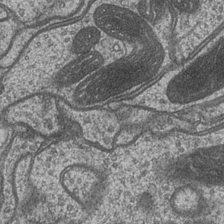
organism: Drosophila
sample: Optic medulla